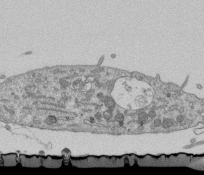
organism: Mouse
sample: ED-1 cell nuclei; centrioles